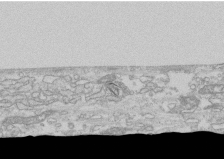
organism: Human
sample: CRL-1474